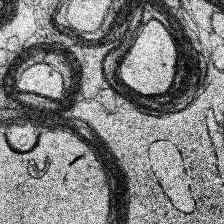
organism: Human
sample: Temporal Lobe